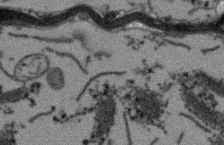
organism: Arabidopsis thaliana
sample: Root tip